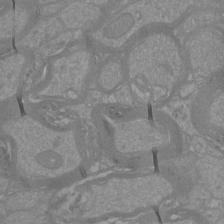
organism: Mouse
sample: Cortical neurons